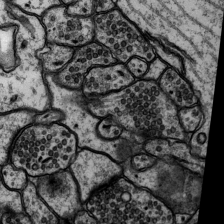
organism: Rat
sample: Hippocampus